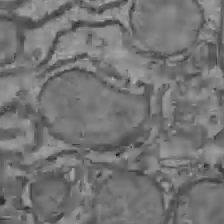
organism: C57BL Mouse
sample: Liver